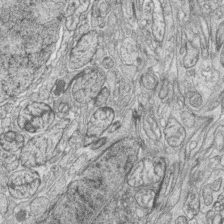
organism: Zebrafish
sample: synaptic ribbons in rod cells and cone cells